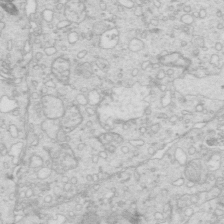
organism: Mouse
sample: Multiciliated cells